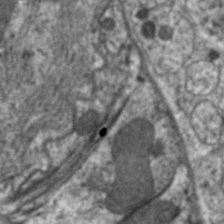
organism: C. elegans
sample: Pharynx